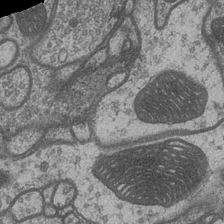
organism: Drosophila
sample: Optic medulla